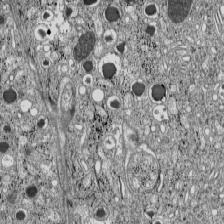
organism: C57BL Mouse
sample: Pancreatic islet